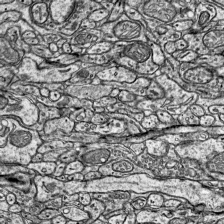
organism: Mouse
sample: Visual Cortex